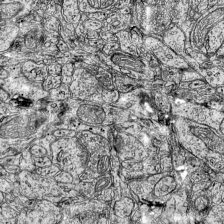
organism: Mouse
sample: Visual Cortex